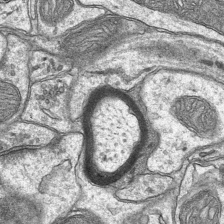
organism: Mouse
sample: CA1 Hippocampus